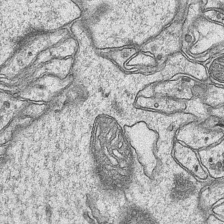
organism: Mouse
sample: CA1 Hippocampus